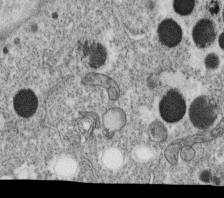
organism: C. elegans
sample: C. elegans oocyte; sperm cells